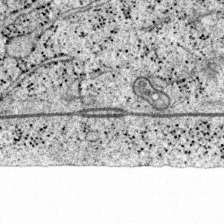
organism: Human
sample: HeLa cells